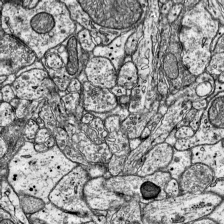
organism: Mouse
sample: Visual Cortex